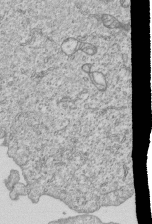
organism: Human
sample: MDA-MB-231 cells